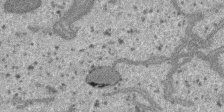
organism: Human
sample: Lung epithelial cells infected with SARS-CoV-2